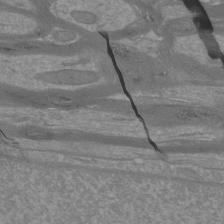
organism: Mouse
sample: Cortical neurons